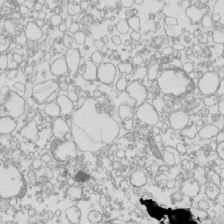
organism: Mouse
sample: Macrophages